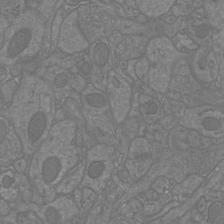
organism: Mouse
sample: Cortical neurons